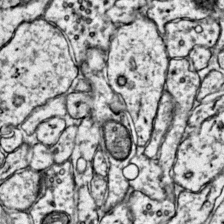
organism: Mouse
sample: Primary visual cortex